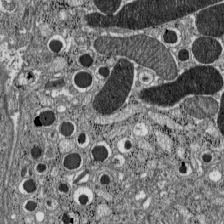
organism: C57BL Mouse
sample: Pancreatic islet